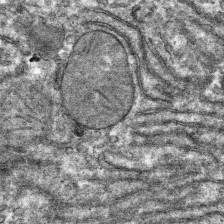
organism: Mouse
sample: Mouse hepatocytes